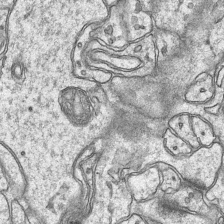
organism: Mouse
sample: CA1 Hippocampus